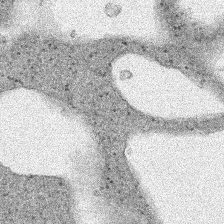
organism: Human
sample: Mitochondria in HCT116 cells